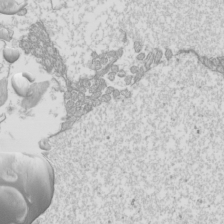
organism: Mouse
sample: Cilia; mouse epididymis